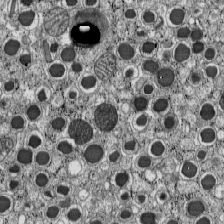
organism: C57BL Mouse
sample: Pancreatic islet